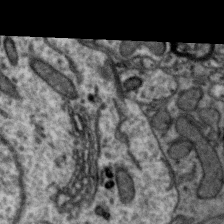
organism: Zebra finch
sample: Brain